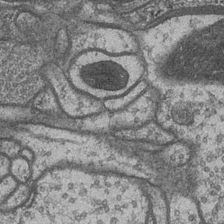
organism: Drosophila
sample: Optic medulla